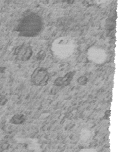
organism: C. elegans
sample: C. elegans embryo early stage